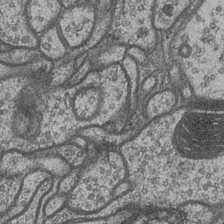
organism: Drosophila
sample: Optic medulla